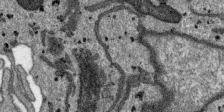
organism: Human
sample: Lung epithelial cells, uninfected (mock) control